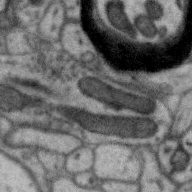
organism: Zebra finch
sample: Brain